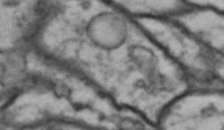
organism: Drosophila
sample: Brain